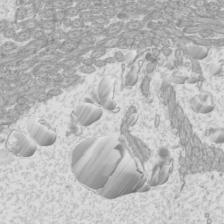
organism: Mouse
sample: Cilia; mouse epididymis